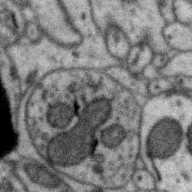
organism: Zebra finch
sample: Brain